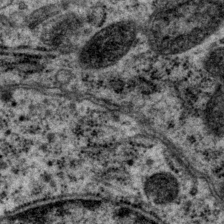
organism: P. pacificus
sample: Pharynx